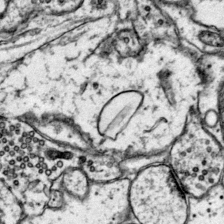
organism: Mouse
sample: Primary visual cortex